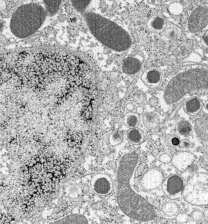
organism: C57BL Mouse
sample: Pancreatic islet